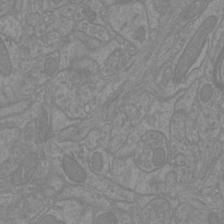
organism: Mouse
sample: Cortical neurons